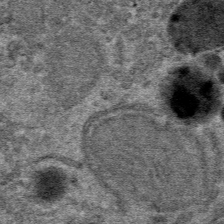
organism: Mouse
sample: Mouse hepatocytes